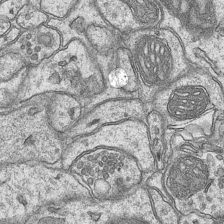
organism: Mouse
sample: CA1 Hippocampus